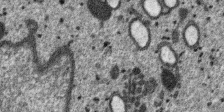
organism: Human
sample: Lung epithelial cells infected with SARS-CoV-2